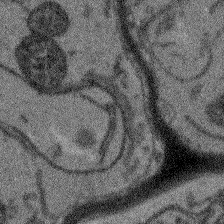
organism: Arabidopsis thaliana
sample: Root tip